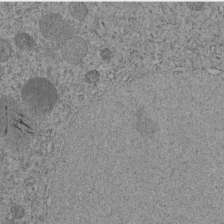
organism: C. elegans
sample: C. elegans embryo early stage